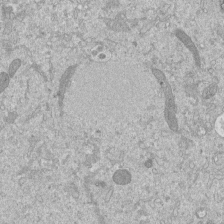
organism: Mouse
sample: ED-1 cell nuclei; centrioles